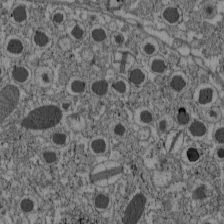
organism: C57BL Mouse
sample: Pancreatic islet